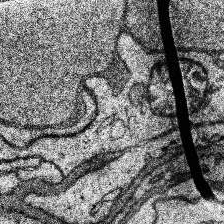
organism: Human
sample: Temporal Lobe